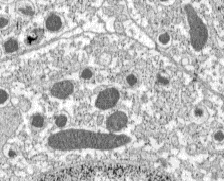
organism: C57BL Mouse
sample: Pancreatic islet